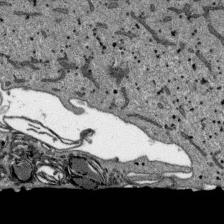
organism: Human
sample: Lung epithelial cells, uninfected (mock) control